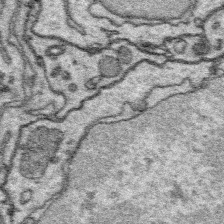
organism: Platynereis dumerilii